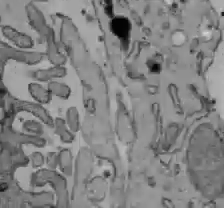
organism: C57BL Mouse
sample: Liver